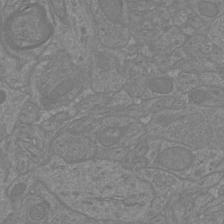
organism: Mouse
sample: Cortical neurons